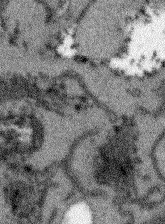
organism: Arabidopsis thaliana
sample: Root tip